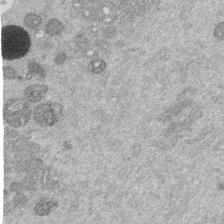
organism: Mouse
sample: Dividing mouse embryo 1 cell stage